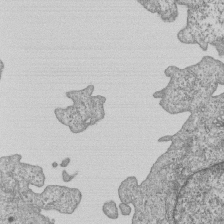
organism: Human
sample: MDA-MB-231 cells